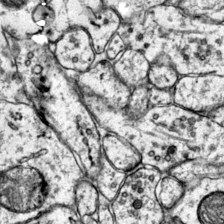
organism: Mouse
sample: Primary visual cortex